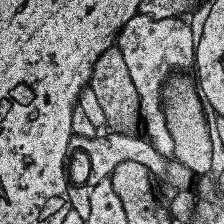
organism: Human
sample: Temporal Lobe